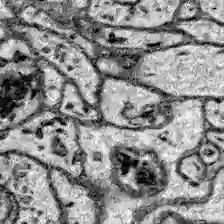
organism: Zebrafish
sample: Brain